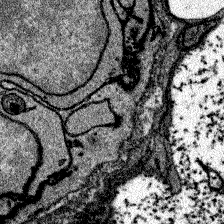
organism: Zebrafish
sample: Larval olfactory bulb